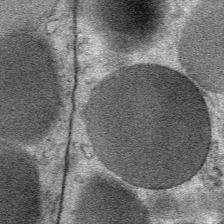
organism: Mouse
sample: Mouse Salivary gland